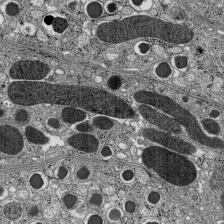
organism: C57BL Mouse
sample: Pancreatic islet